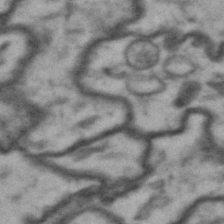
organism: Drosophila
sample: Brain